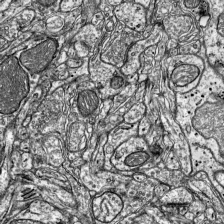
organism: Mouse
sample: Visual Cortex